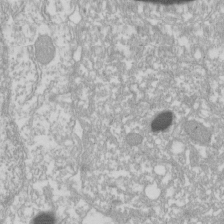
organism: Xenopus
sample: Cilia; centrioles in frog embryo cells